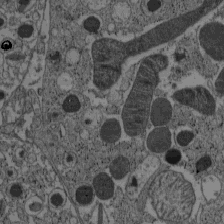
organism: C57BL Mouse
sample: Pancreatic islet